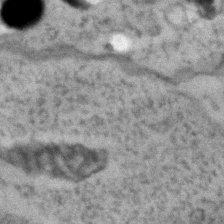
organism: Zebrafish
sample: Zebrafish embryo